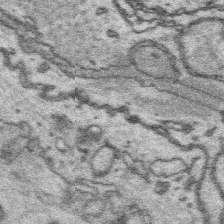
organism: Platynereis dumerilii